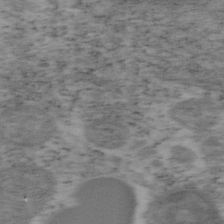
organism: Mouse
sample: OT-I killer T cells with ID8 ovarian cancer cells